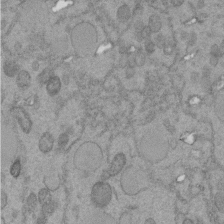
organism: C. elegans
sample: C. elegans embryo early stage